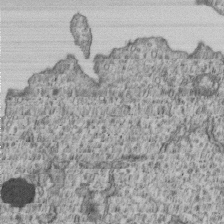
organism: Human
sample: MDA-MB-231 cells